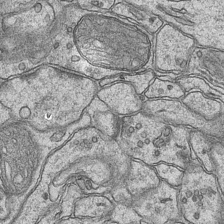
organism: Mouse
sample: CA1 Hippocampus